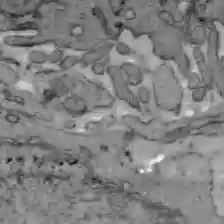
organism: C57BL Mouse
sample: Liver